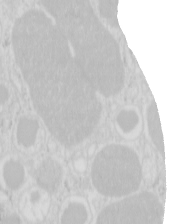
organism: Mouse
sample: Pancreas